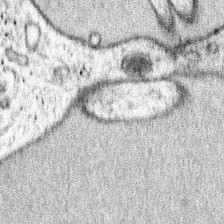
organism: Human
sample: HeLa cells